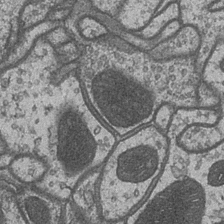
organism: Drosophila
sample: Optic medulla